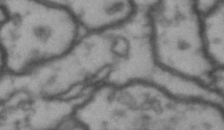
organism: Drosophila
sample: Brain